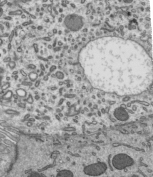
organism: Mouse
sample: Mouse epididymis efferent ductule cilia